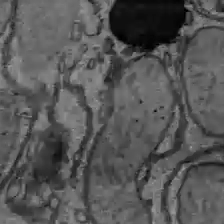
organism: C57BL Mouse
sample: Liver